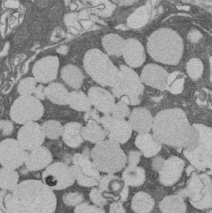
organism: Rat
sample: Salivary granule